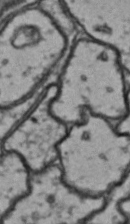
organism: Drosophila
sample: Brain